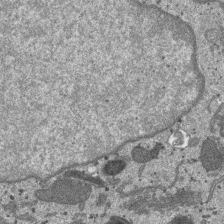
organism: Human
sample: Lung epithelial cells infected with SARS-CoV-2